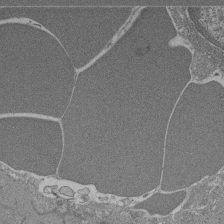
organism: Mouse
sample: Glomerulus